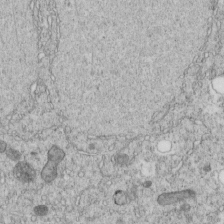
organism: C. elegans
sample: C. elegans embryo early stage